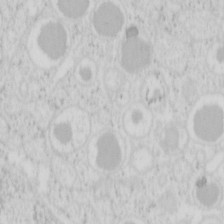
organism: Mouse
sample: Pancreas